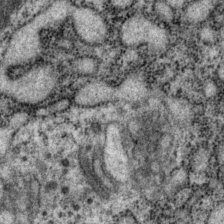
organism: P. pacificus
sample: Pharynx